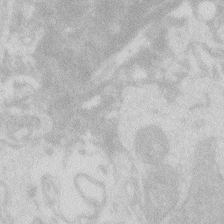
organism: Zebrafish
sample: Macrophage